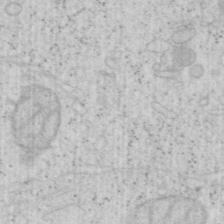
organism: Human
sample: HeLa cells